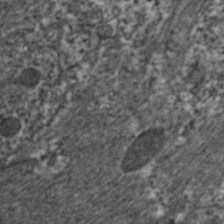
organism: C. elegans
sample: Pharynx